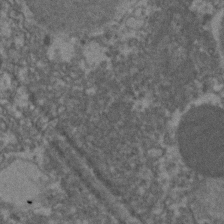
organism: Zebrafish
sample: Zebrafish embryo